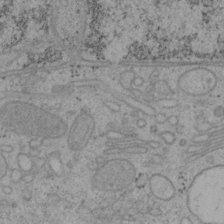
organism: Human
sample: HeLa cells